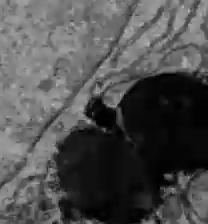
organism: C57BL Mouse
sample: Liver